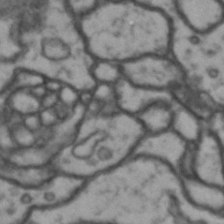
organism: Drosophila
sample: Brain